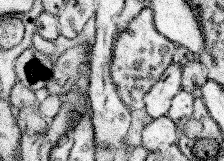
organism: Mouse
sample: Somatosensory cortex neuropil